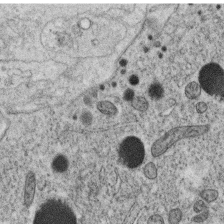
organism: C. elegans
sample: C. elegans oocyte; sperm cells